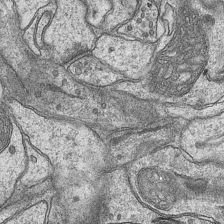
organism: Mouse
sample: CA1 Hippocampus